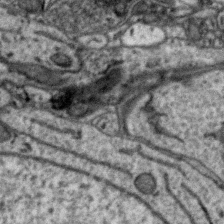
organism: Zebra finch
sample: Brain